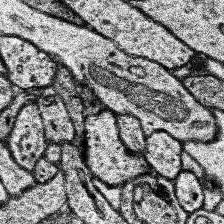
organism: Human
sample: Temporal Lobe